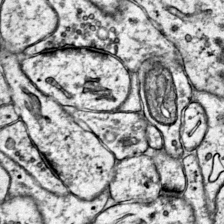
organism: Mouse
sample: Primary visual cortex